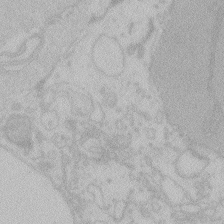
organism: Zebrafish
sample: Macrophage infected with Toxoplasma gondii